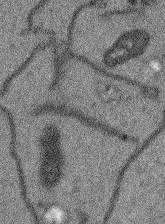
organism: Arabidopsis thaliana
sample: Root tip